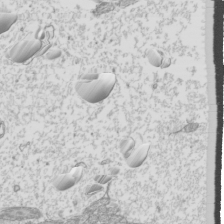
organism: Mouse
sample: Cilia; mouse epididymis